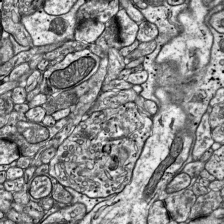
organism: Mouse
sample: Visual Cortex